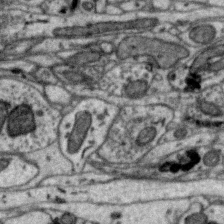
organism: Zebra finch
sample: Brain